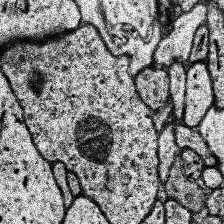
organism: Human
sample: Temporal Lobe